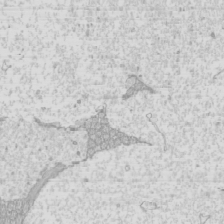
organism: Mouse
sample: Cilia; mouse epididymis